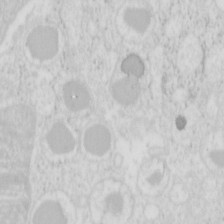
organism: Mouse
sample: Pancreas